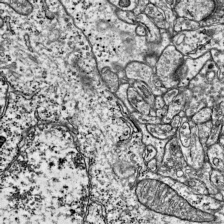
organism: Mouse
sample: Visual Cortex